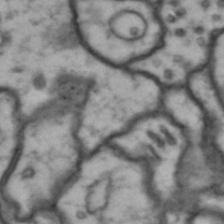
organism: Drosophila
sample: Brain